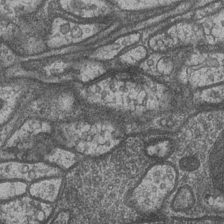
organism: Drosophila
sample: Optic medulla